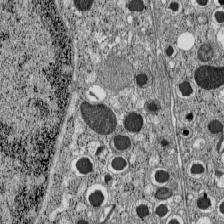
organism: C57BL Mouse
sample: Pancreatic islet